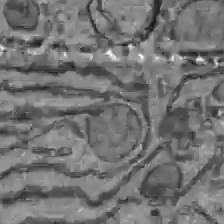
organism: C57BL Mouse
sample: Liver